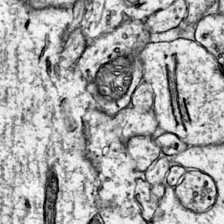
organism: Mouse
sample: Primary visual cortex